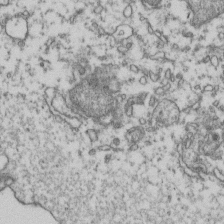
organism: Human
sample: Activated Jurkat CD4+ T cells